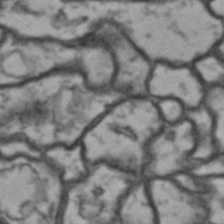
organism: Drosophila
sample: Brain